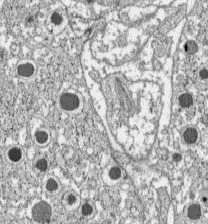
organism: C57BL Mouse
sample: Pancreatic islet